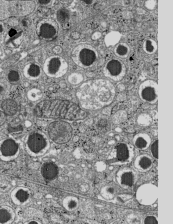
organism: C57BL Mouse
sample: Pancreatic islet